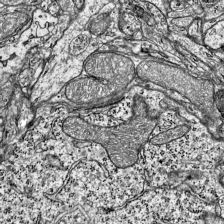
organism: Mouse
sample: Visual Cortex